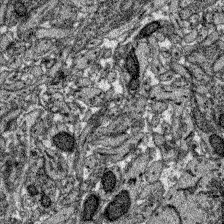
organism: Zebrafish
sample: Larval olfactory bulb